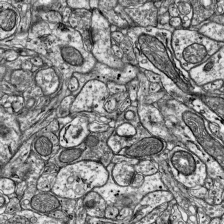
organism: Mouse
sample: Visual Cortex